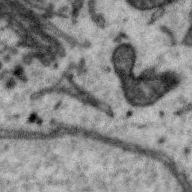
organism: Zebra finch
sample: Brain